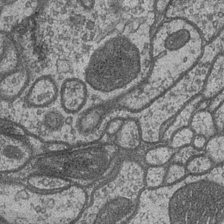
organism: Drosophila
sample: Optic medulla